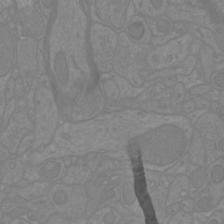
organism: Mouse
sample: Cortical neurons